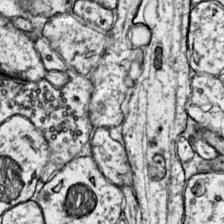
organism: Mouse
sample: Primary visual cortex